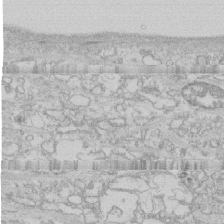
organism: Human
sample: CRL-1474